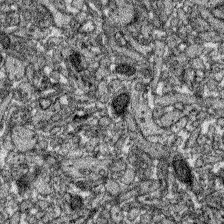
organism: Zebrafish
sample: Larval olfactory bulb